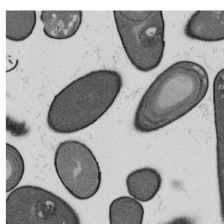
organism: B. subtilis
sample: Bacterial spore